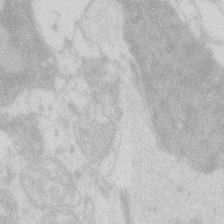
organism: Zebrafish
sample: Macrophage